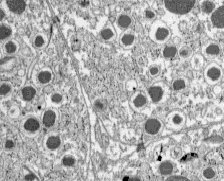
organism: C57BL Mouse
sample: Pancreatic islet